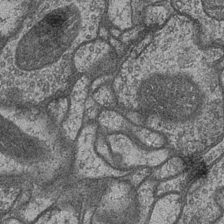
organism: Drosophila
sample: Optic medulla